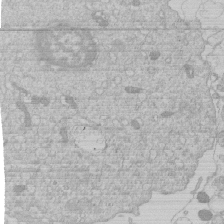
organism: Human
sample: Macrophage cells